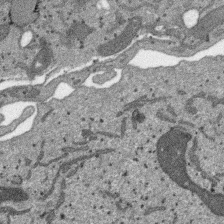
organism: Human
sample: Lung epithelial cells infected with SARS-CoV-2